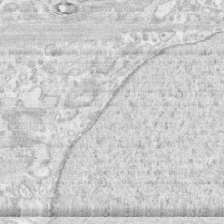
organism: Human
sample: CRL-1474